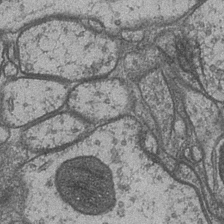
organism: Drosophila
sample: Optic medulla